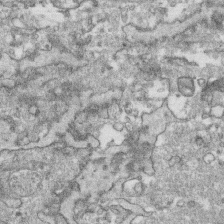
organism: Human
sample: CRL-1474